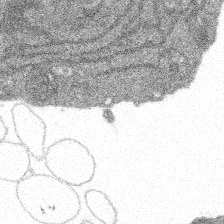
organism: Spongilla lacustris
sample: Multiple